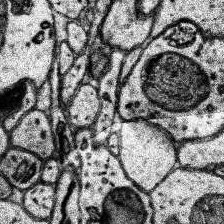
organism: Human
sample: Temporal Lobe